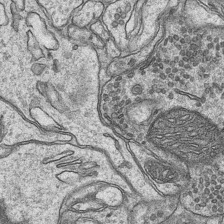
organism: Mouse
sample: CA1 Hippocampus